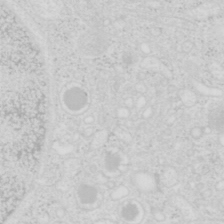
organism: Mouse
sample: Pancreas